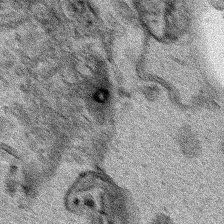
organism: Human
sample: Mitochondria in HCT116 cells